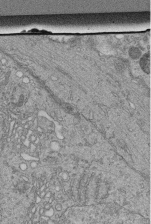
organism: Human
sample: Retinal organoid Rod and Cone cells